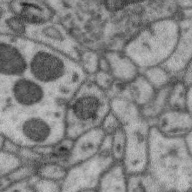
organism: Zebra finch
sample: Brain